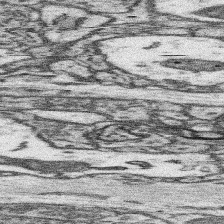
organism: Mouse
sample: Somatosensory cortex neuropil